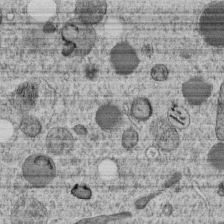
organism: C. elegans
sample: C. elegans embryo early stage